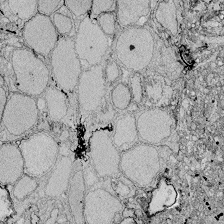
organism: Zebrafish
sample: Whole-Brain